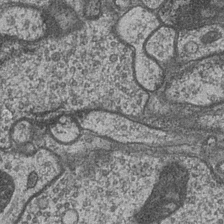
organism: Drosophila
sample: Optic medulla